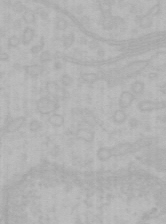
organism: Mouse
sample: Choroid plexus